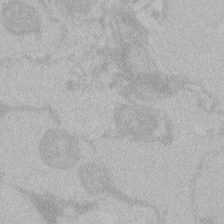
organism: Zebrafish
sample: Macrophage infected with Toxoplasma gondii